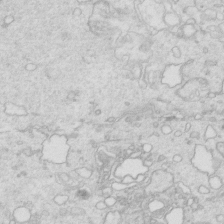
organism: Mouse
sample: Multiciliated cells